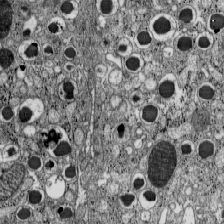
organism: C57BL Mouse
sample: Pancreatic islet